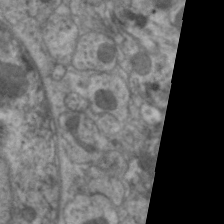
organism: C. elegans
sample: Pharynx